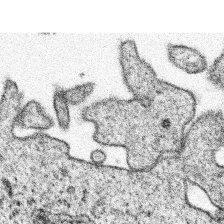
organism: Human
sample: HeLa cells